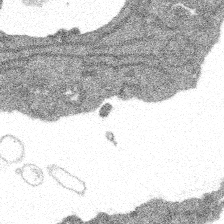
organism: Spongilla lacustris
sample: Multiple